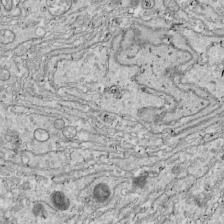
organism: Drosophila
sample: Cell division; meiosis; drosophila spermatocytes